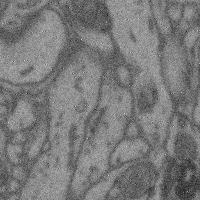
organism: Mouse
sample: Cerebral cortex